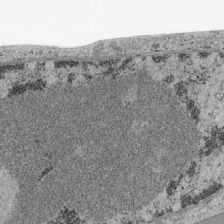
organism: Human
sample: HeLa cells